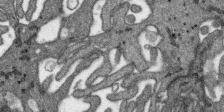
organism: Human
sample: Lung epithelial cells, uninfected (mock) control